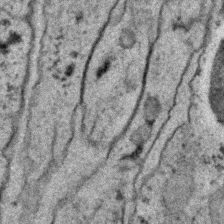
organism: C. elegans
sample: C. elegans embryo